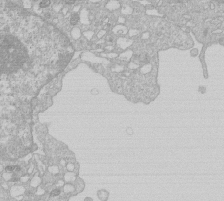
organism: Human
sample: Macrophage cells